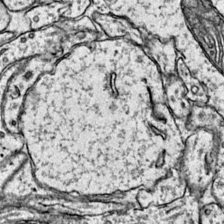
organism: Mouse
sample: Primary visual cortex